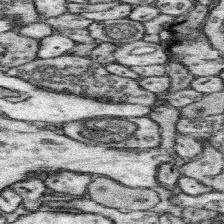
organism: Mouse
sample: Somatosensory cortex neuropil